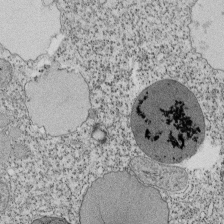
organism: Tetrahymena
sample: Cilia in tetrahymena